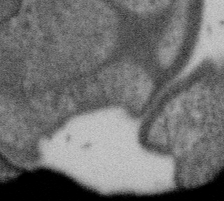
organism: Gemmata obscuriglobus